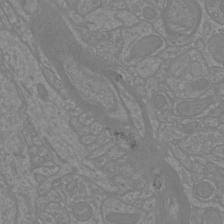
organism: Mouse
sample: Cortical neurons